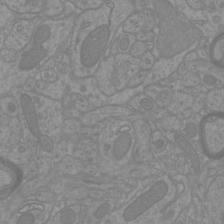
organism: Mouse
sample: Cortical neurons